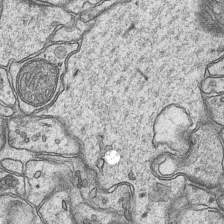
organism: Mouse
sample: CA1 Hippocampus